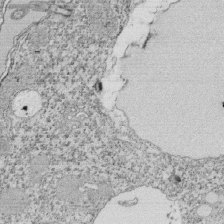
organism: Tetrahymena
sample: Cilia in tetrahymena